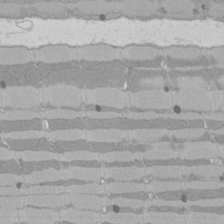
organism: Rat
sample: Left ventricle